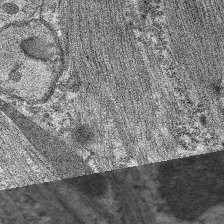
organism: C. elegans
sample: Pharynx